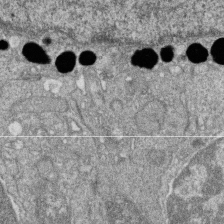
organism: Zebrafish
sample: Cilia; retinal pigment epithelium